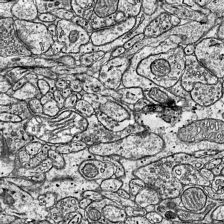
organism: Mouse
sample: Visual Cortex